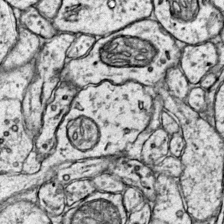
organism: Mouse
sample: Primary visual cortex